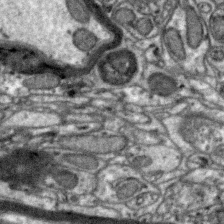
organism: Zebra finch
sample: Brain